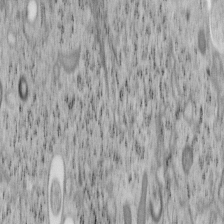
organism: Human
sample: HeLa cells